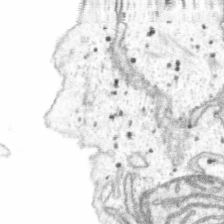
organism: Human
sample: HeLa cells